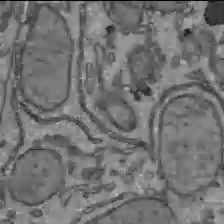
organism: C57BL Mouse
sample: Liver